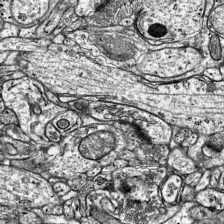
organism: Mouse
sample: Visual Cortex